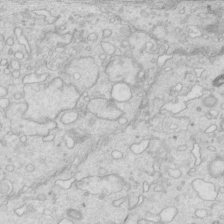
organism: Mouse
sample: Multiciliated cells